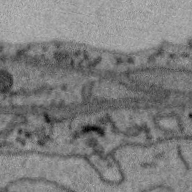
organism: Zebra finch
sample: Brain